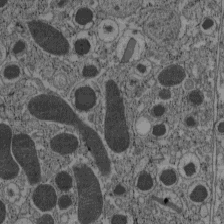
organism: C57BL Mouse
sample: Pancreatic islet